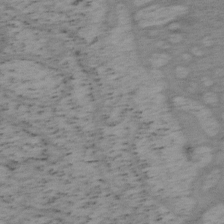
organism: Mouse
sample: OT-I killer T cells with ID8 ovarian cancer cells